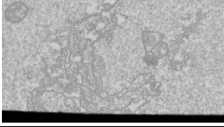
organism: Drosophila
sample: Cell division; meiosis; drosophila spermatocytes